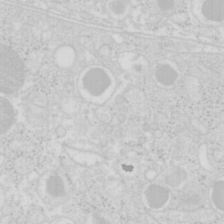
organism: Mouse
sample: Pancreas